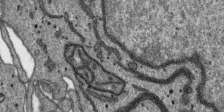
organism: Human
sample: Lung epithelial cells, uninfected (mock) control